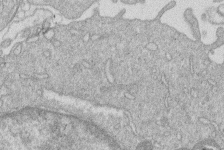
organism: Human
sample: Macrophage cells